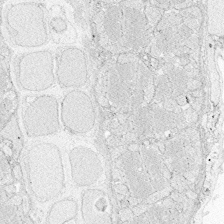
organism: Zebrafish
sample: Whole-Brain